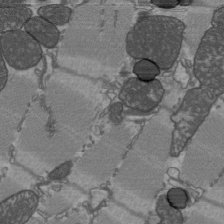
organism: C57BL Mouse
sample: Heart